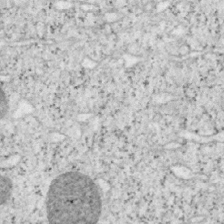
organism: Mouse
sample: OT-I killer T cells with ID8 ovarian cancer cells